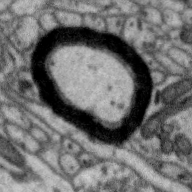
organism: Zebra finch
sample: Brain